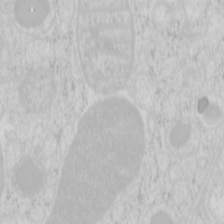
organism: Mouse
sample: Pancreas